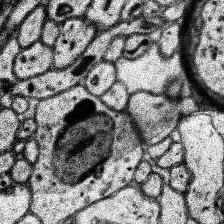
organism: Human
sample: Temporal Lobe